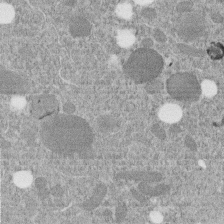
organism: C. elegans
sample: C. elegans embryo early stage